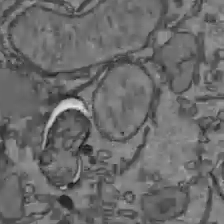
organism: C57BL Mouse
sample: Liver